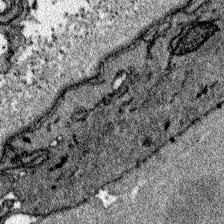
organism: Zebrafish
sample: Larval olfactory bulb